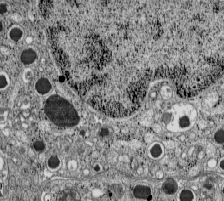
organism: C57BL Mouse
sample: Pancreatic islet